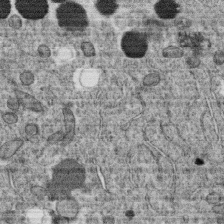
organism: C. elegans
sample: C. elegans oocyte; sperm cells